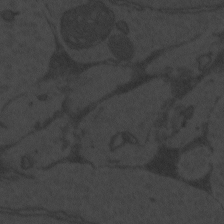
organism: Zebrafish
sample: Macrophage infected with Toxoplasma gondii